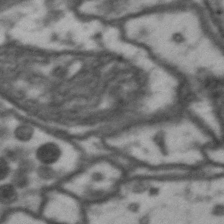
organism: Drosophila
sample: Brain